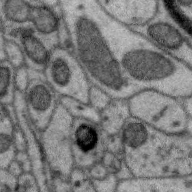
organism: Zebra finch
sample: Brain